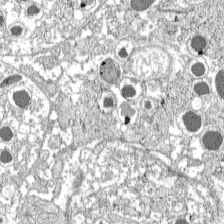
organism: C57BL Mouse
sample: Pancreatic islet